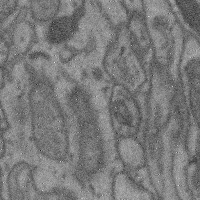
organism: Mouse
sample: Cerebral cortex